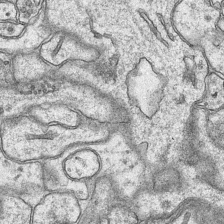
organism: Mouse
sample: CA1 Hippocampus